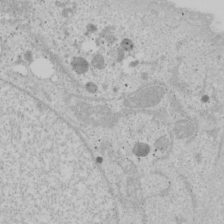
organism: Human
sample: Mitochondria in U2OS cells